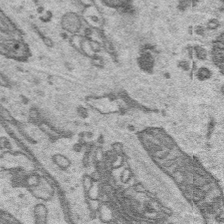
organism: Platynereis dumerilii